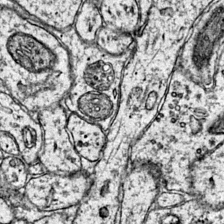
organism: Mouse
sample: Primary visual cortex